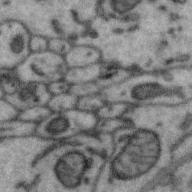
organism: Zebra finch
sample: Brain